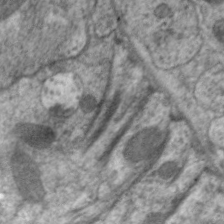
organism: C. elegans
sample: Pharynx